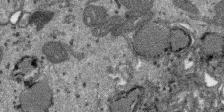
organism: Human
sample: Lung epithelial cells infected with SARS-CoV-2